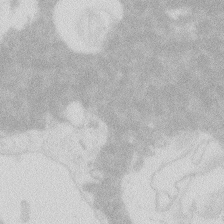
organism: Zebrafish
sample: Macrophage